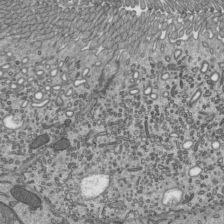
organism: Mouse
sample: Mouse epididymis efferent ductule cilia